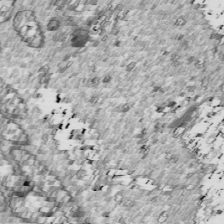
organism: Drosophila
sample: Cell division; meiosis; drosophila spermatocytes